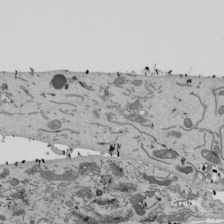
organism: Mouse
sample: ED-1 cell nuclei; centrioles